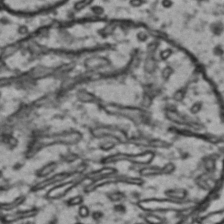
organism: Drosophila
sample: Brain